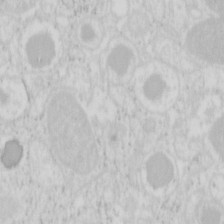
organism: Mouse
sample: Pancreas